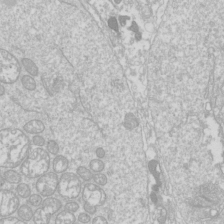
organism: Drosophila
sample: Cell division; meiosis; drosophila spermatocytes